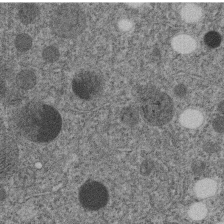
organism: C. elegans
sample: C. elegans embryo early stage